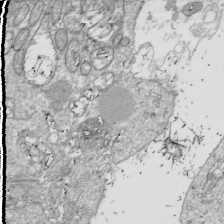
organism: Drosophila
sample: Cell division; meiosis; drosophila spermatocytes